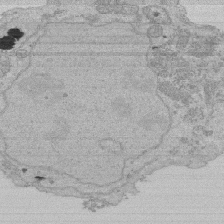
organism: Human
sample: Activated Jurkat CD4+ T cells